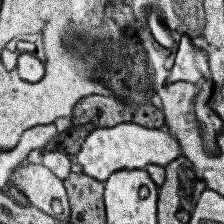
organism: Human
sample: Temporal Lobe